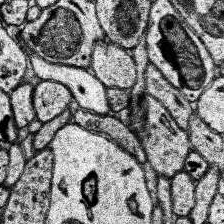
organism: Human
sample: Temporal Lobe